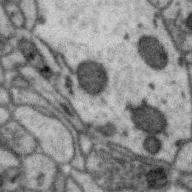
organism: Zebra finch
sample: Brain